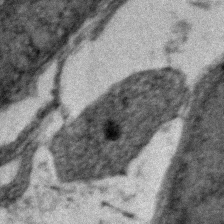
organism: Zebrafish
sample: Zebrafish embryo